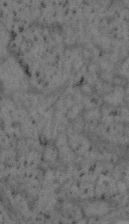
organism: Human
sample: HeLa cells